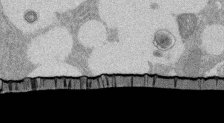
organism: Rat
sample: Salivary granule